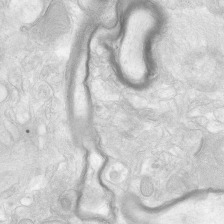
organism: Human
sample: Neocortex